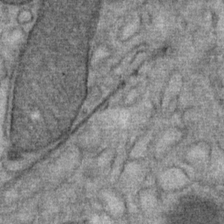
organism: Mouse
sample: Mouse Salivary gland